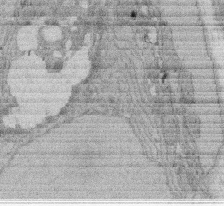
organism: Rat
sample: Salivary granule